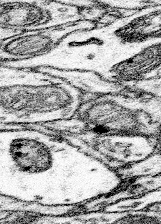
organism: Mouse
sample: Somatosensory cortex neuropil